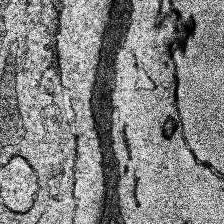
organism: Human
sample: Temporal Lobe